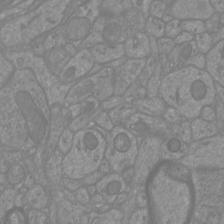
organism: Mouse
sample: Cortical neurons